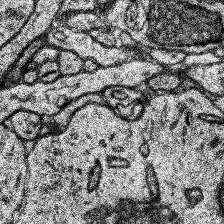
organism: Human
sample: Temporal Lobe